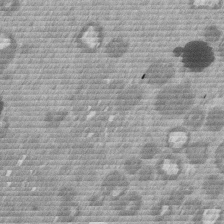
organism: Mouse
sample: Dividing mouse embryo 1 cell stage